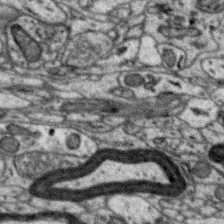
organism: Zebra finch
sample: Brain